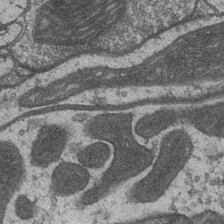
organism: Drosophila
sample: Optic medulla